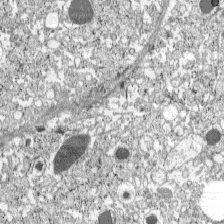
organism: C57BL Mouse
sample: Pancreatic islet